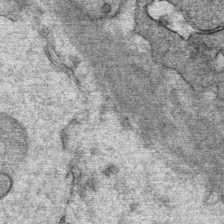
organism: Mouse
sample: Mouse Salivary gland